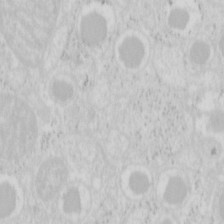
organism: Mouse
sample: Pancreas